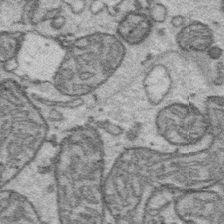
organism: Platynereis dumerilii